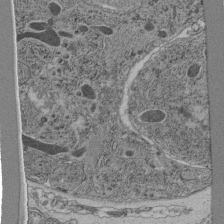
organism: C. elegans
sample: C. elegans pharynx